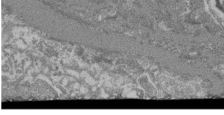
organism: Mouse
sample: Glomerulus